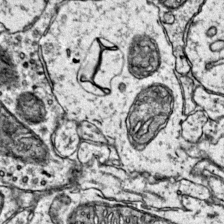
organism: Mouse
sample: Primary visual cortex